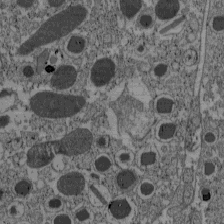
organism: C57BL Mouse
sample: Pancreatic islet